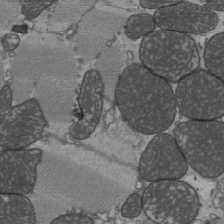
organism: C57BL Mouse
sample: Heart